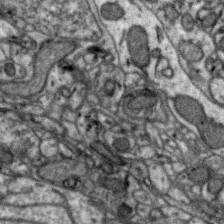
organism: Zebra finch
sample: Brain